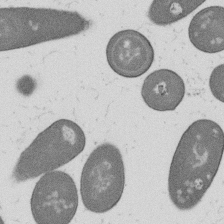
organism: B. subtilis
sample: Bacterial spore